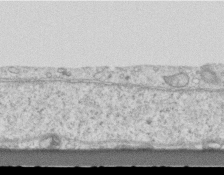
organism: Mouse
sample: Centriole in ependymal cells